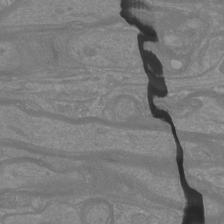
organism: Mouse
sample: Cortical neurons